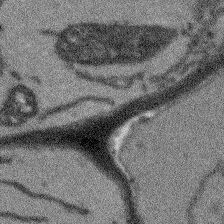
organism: Arabidopsis thaliana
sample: Root tip